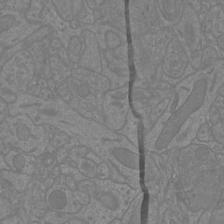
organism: Mouse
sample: Cortical neurons